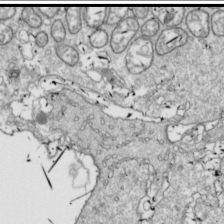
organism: Drosophila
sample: Cell division; meiosis; drosophila spermatocytes